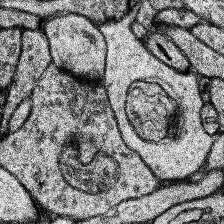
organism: Human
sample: Temporal Lobe